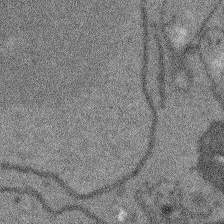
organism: Arabidopsis thaliana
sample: Root tip